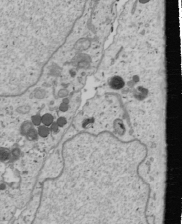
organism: Human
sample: Mitochondria in U2OS cells